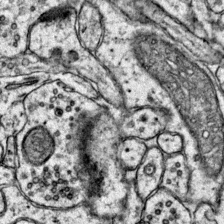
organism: Mouse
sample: Primary visual cortex